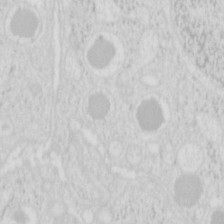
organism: Mouse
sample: Pancreas